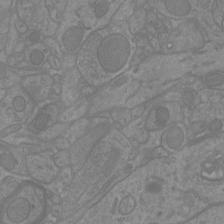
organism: Mouse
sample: Cortical neurons